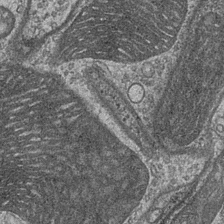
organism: Drosophila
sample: Optic medulla